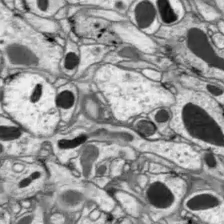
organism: Drosophila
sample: Optic lobe